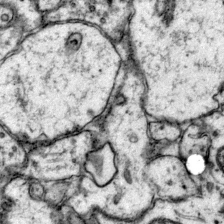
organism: Mouse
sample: Primary visual cortex